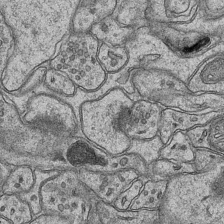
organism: Mouse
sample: CA1 Hippocampus